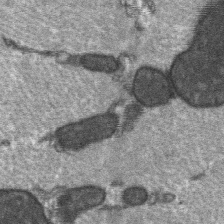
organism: C57BL Mouse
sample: Soleus